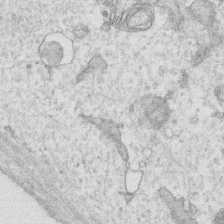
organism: Human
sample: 1205lu cells